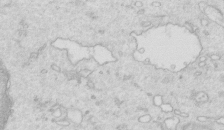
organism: Mouse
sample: Multiciliated cells